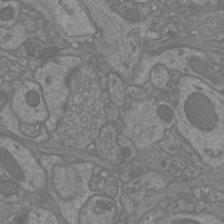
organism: Mouse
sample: Cortical neurons